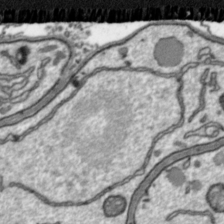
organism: Toxoplasma gondii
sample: Parasites in a vacuole inside a host cell